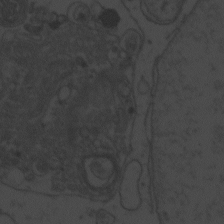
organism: Zebrafish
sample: Macrophage infected with Toxoplasma gondii